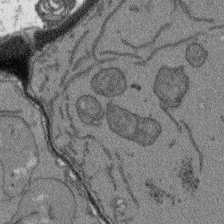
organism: Arabidopsis thaliana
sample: Root tip